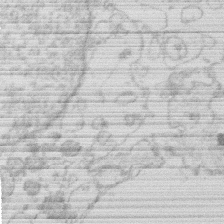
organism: Human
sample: Macrophage cells